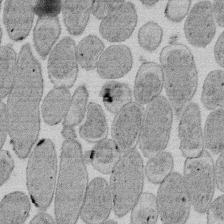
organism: E. coli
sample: Bacterial nucleoid